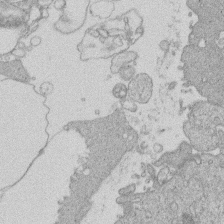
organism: Human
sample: Macrophage cells